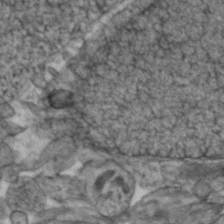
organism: Zebrafish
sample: Zebrafish embryo